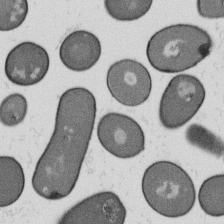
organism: B. subtilis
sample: Bacterial spore